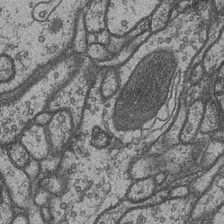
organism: Drosophila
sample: Optic medulla